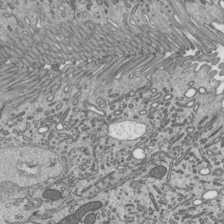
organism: Mouse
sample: Mouse epididymis efferent ductule cilia